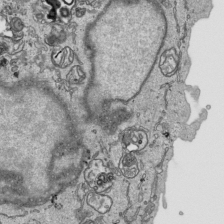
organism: Human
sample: Mitochondria in HCT116 cells